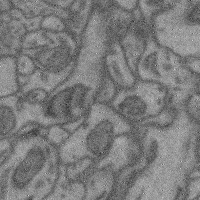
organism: Mouse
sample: Cerebral cortex